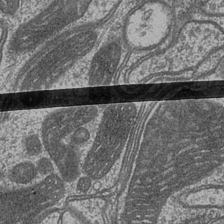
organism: Drosophila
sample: Optic medulla